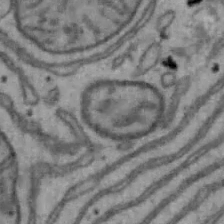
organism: Mouse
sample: Liver